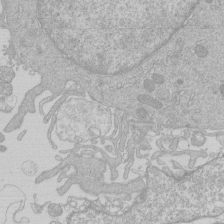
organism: Human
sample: Macrophage cells